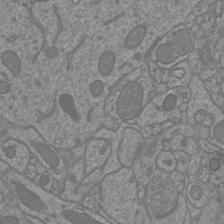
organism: Mouse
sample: Cortical neurons